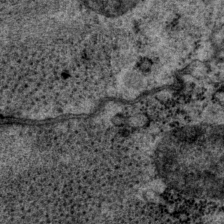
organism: P. pacificus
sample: Pharynx